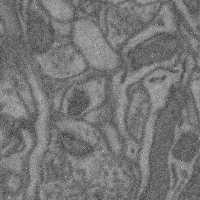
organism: Mouse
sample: Cerebral cortex